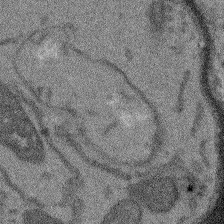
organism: Arabidopsis thaliana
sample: Root tip